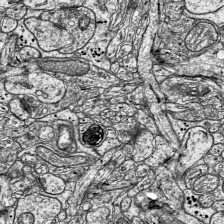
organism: Mouse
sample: Visual Cortex